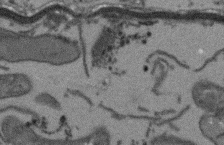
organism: Arabidopsis thaliana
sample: Root tip